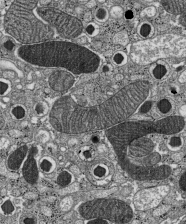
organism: C57BL Mouse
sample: Pancreatic islet